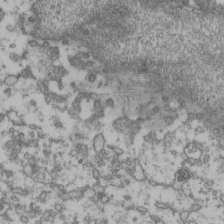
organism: Human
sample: Activated Jurkat CD4+ T cells